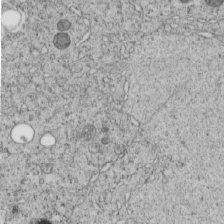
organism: C. elegans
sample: C. elegans embryo early stage